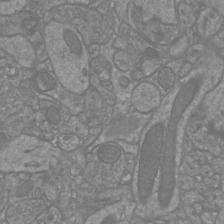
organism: Mouse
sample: Cortical neurons